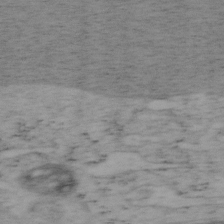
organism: Mouse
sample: OT-I killer T cells with ID8 ovarian cancer cells